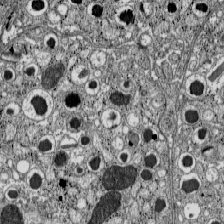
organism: C57BL Mouse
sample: Pancreatic islet